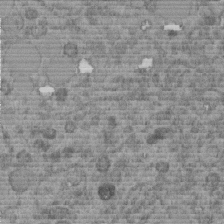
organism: C. elegans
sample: C. elegans embryo early stage